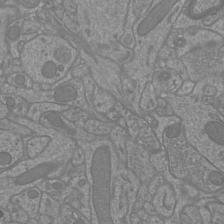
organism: Mouse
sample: Cortical neurons